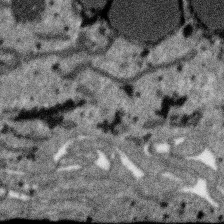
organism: Human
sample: Lung epithelial cells infected with SARS-CoV-2